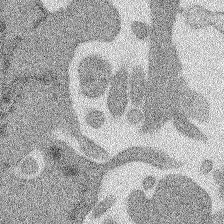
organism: Human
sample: HeLa cells